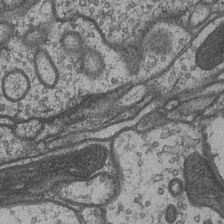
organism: Drosophila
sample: Optic medulla